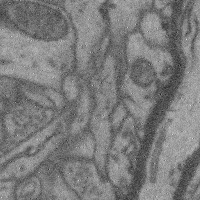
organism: Mouse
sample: Cerebral cortex